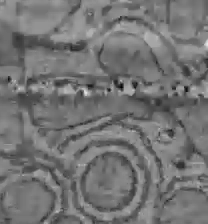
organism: C57BL Mouse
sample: Liver